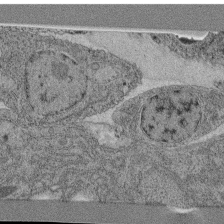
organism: C. elegans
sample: C. elegans pharynx